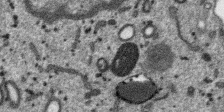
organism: Human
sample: Lung epithelial cells infected with SARS-CoV-2